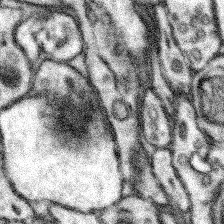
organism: Mouse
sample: Somatosensory cortex neuropil